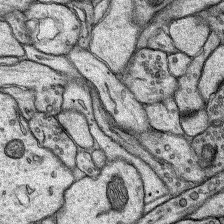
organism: Rat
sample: Hippocampus